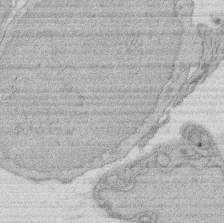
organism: Rat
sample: Salivary granule